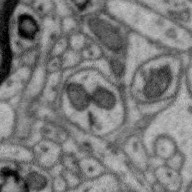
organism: Zebra finch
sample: Brain